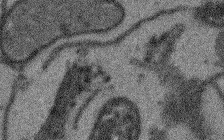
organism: Arabidopsis thaliana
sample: Root tip